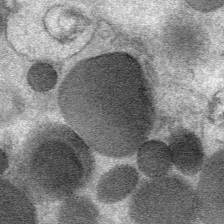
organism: Mouse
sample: Mouse Salivary gland